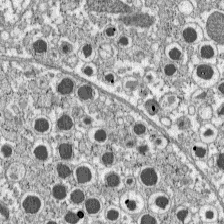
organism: C57BL Mouse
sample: Pancreatic islet